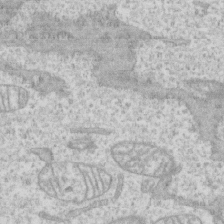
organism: Human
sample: CRL-1474